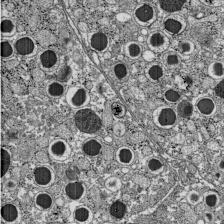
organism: C57BL Mouse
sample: Pancreatic islet